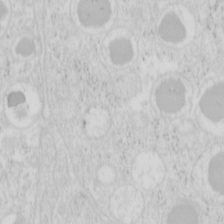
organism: Mouse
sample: Pancreas